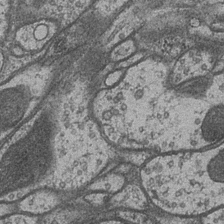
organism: Drosophila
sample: Optic medulla